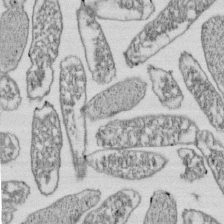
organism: E. coli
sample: Bacterial nucleoid